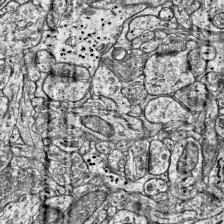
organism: Mouse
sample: Visual Cortex